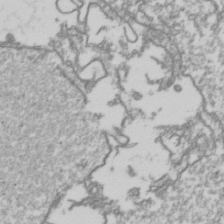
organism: Drosophila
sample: Cell division; meiosis; drosophila spermatocytes